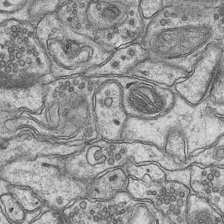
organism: Mouse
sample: CA1 Hippocampus